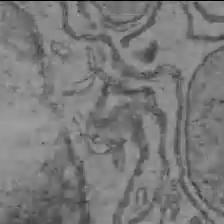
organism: C57BL Mouse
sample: Liver